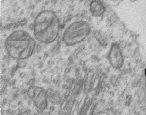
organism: Human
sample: Centriole in RPE cells